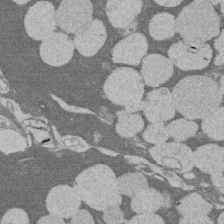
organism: Rat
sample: Salivary granule